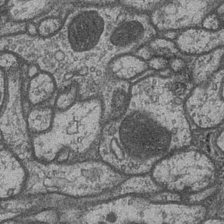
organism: Drosophila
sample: Optic medulla